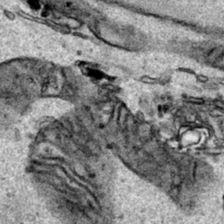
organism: Human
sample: Mitochondria in HCT116 cells